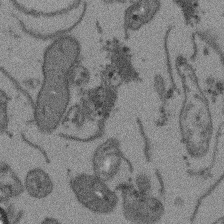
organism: Arabidopsis thaliana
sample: Root tip